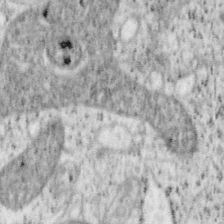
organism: Mouse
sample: OT-I killer T cells with ID8 ovarian cancer cells